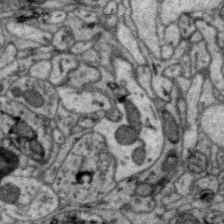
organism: Zebra finch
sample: Brain